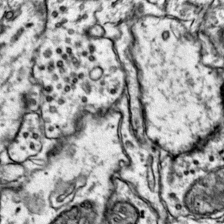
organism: Mouse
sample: Primary visual cortex